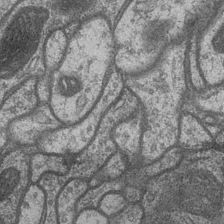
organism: Drosophila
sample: Optic medulla